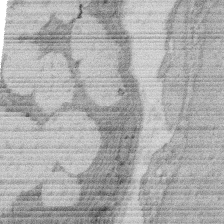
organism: Rat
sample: Salivary granule